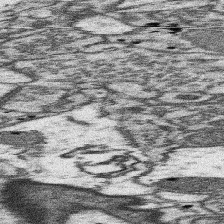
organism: Mouse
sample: Somatosensory cortex neuropil